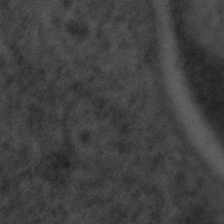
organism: Tuwongella immobilis